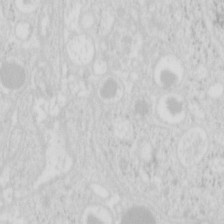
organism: Mouse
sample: Pancreas